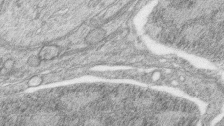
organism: Zebrafish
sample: synaptic ribbons in rod cells and cone cells